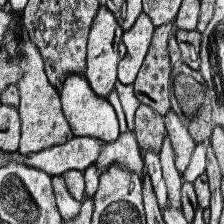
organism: Human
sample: Temporal Lobe